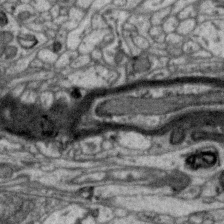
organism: Zebra finch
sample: Brain